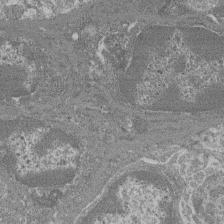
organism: Mouse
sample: Glomerulus